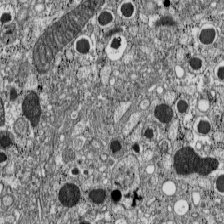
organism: C57BL Mouse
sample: Pancreatic islet